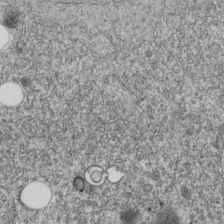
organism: C. elegans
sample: C. elegans embryo early stage